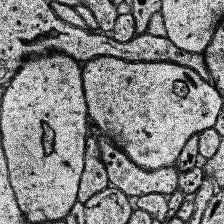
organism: Human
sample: Temporal Lobe